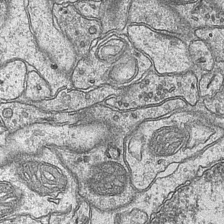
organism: Mouse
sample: CA1 Hippocampus